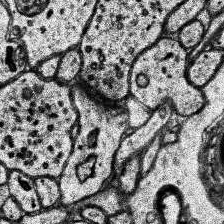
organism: Human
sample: Temporal Lobe